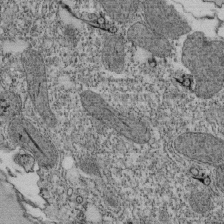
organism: Tetrahymena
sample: Cilia in tetrahymena